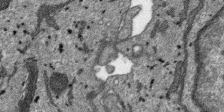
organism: Human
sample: Lung epithelial cells, uninfected (mock) control